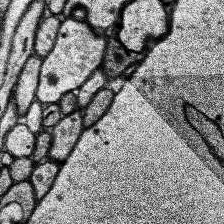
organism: Human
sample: Temporal Lobe